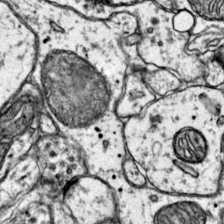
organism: Mouse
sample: Primary visual cortex